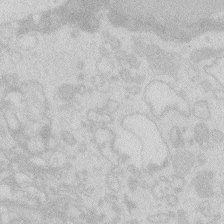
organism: Zebrafish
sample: Macrophage